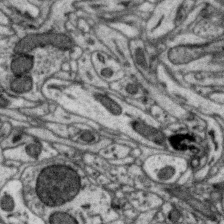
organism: Zebra finch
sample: Brain